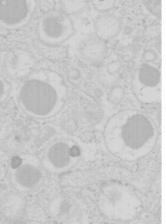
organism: Mouse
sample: Pancreas